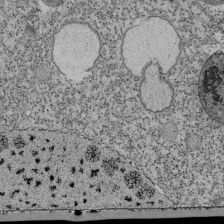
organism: Tetrahymena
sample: Cilia in tetrahymena